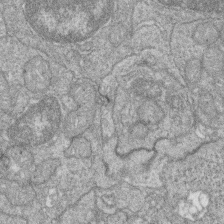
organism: Zebrafish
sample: Cilia; retinal pigment epithelium